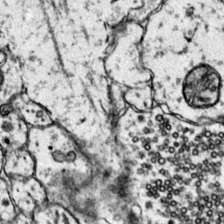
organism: Mouse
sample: Primary visual cortex